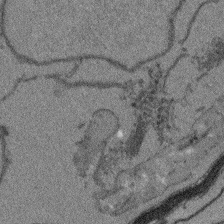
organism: Arabidopsis thaliana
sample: Root tip